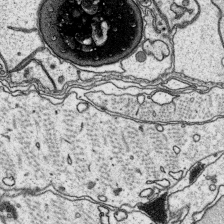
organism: Platynereis dumerilii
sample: Parapodia